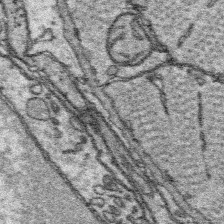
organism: Platynereis dumerilii